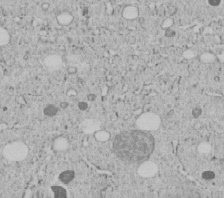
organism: C. elegans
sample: C. elegans embryo early stage